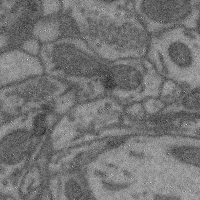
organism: Mouse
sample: Cerebral cortex